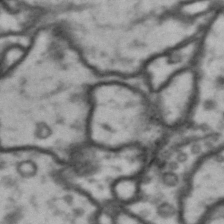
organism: Drosophila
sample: Brain